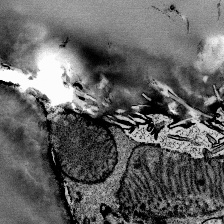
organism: Mouse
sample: Mouse Salivary gland